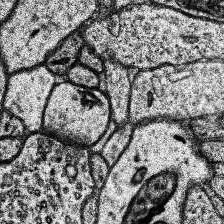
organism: Human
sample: Temporal Lobe